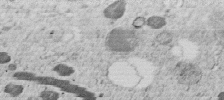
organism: C. elegans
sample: C. elegans embryo early stage